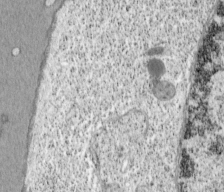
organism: African green monkey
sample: COS-7 cells